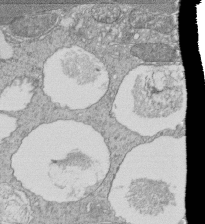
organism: Tetrahymena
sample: Cilia in tetrahymena